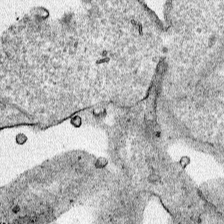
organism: Human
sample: Mitochondria in HCT116 cells